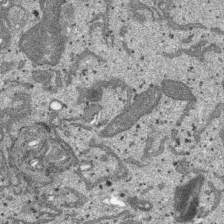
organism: Human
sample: Lung epithelial cells infected with SARS-CoV-2